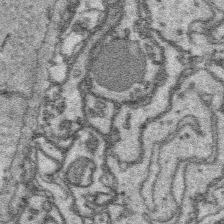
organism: Platynereis dumerilii